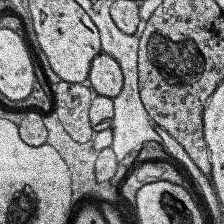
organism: Human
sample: Temporal Lobe